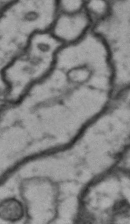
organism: Drosophila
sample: Brain